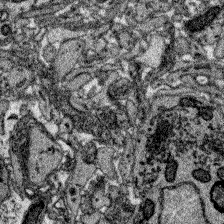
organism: Zebrafish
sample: Larval olfactory bulb